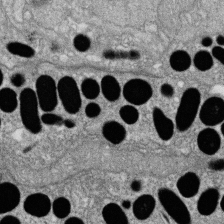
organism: Zebrafish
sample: Cilia; retinal pigment epithelium